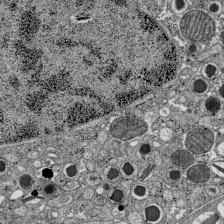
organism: C57BL Mouse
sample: Pancreatic islet